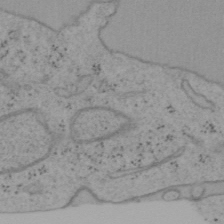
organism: Human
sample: HeLa cells